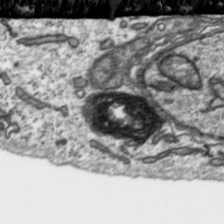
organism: Toxoplasma gondii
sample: Parasites in a vacuole inside a host cell